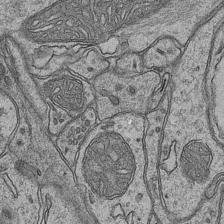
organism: Mouse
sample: CA1 Hippocampus